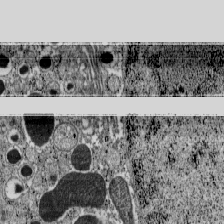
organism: C57BL Mouse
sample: Pancreatic islet